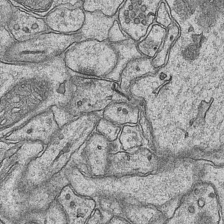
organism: Mouse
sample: CA1 Hippocampus